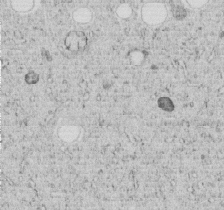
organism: C. elegans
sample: C. elegans embryo early stage